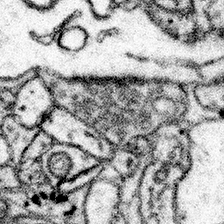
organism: Mouse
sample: Somatosensory cortex neuropil